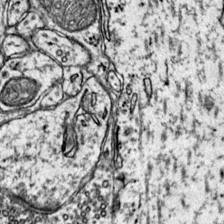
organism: Mouse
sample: Primary visual cortex